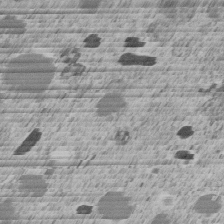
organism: C. elegans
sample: C. elegans embryo early stage